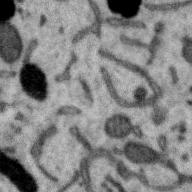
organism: Zebra finch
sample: Brain